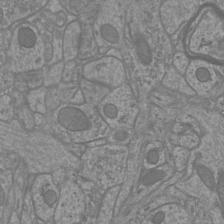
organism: Mouse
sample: Cortical neurons